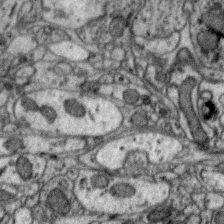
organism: Zebra finch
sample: Brain